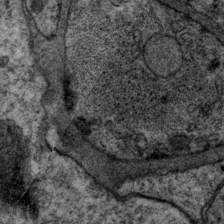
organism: P. pacificus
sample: Pharynx